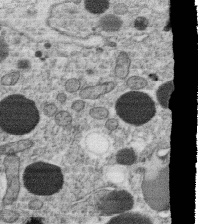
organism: C. elegans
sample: C. elegans oocyte; sperm cells